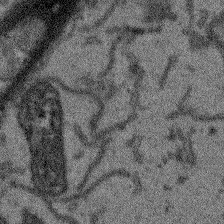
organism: Arabidopsis thaliana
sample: Root tip